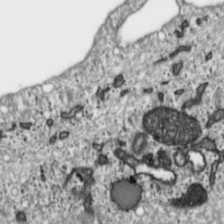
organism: Toxoplasma gondii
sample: Parasites in a vacuole inside a host cell